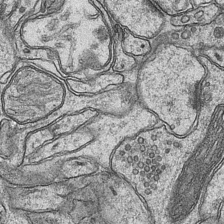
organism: Mouse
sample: CA1 Hippocampus